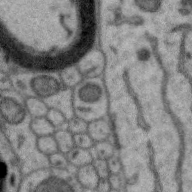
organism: Zebra finch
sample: Brain